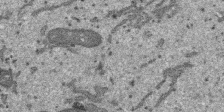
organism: Human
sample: Lung epithelial cells infected with SARS-CoV-2